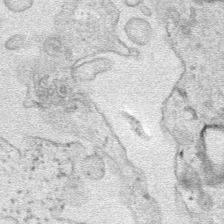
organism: Human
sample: Mitochondria in HCT116 cells